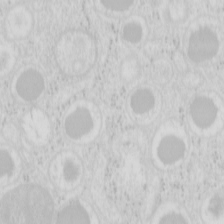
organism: Mouse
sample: Pancreas